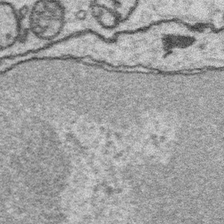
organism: Platynereis dumerilii